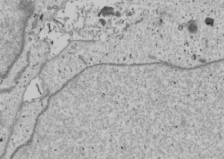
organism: Human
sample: Mitochondria in U2OS cells